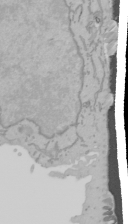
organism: Mouse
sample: Cancer cell death in ED-1 cells